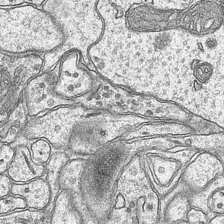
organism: Mouse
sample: CA1 Hippocampus